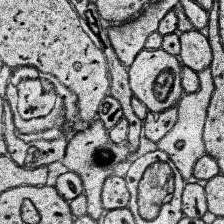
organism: Human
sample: Temporal Lobe